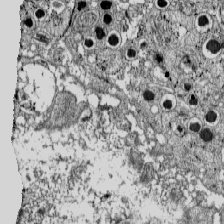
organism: C57BL Mouse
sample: Pancreatic islet